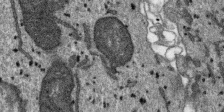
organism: Human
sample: Lung epithelial cells, uninfected (mock) control